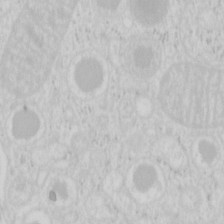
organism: Mouse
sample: Pancreas